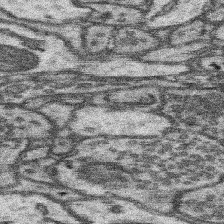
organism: Mouse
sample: Somatosensory cortex neuropil